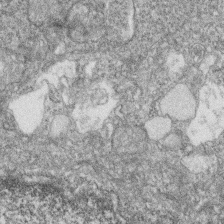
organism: Zebrafish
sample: Cilia; retinal pigment epithelium